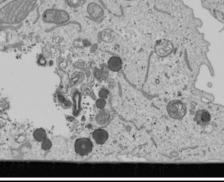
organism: Human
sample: Mitochondria in U2OS cells